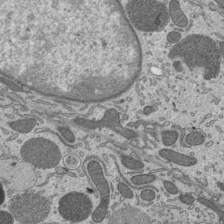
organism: Mouse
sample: Mouse epididymis efferent ductule cilia